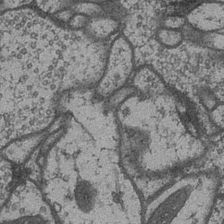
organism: Drosophila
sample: Optic medulla